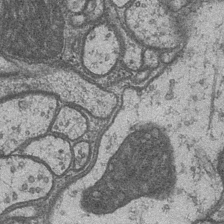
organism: Drosophila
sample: Optic medulla